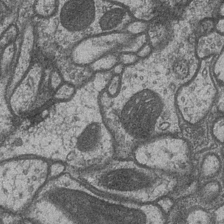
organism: Drosophila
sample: Optic medulla